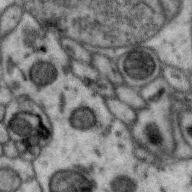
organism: Zebra finch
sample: Brain